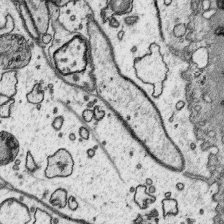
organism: Platynereis dumerilii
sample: Parapodia